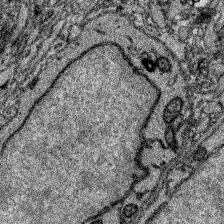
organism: Zebrafish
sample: Larval olfactory bulb